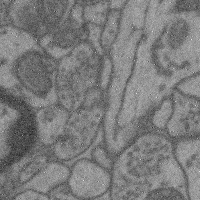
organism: Mouse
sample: Cerebral cortex